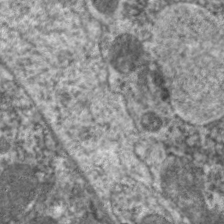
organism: C. elegans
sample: Pharynx